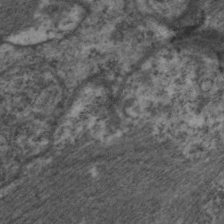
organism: C. elegans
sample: Pharynx